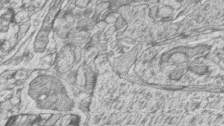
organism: Zebrafish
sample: synaptic ribbons in rod cells and cone cells